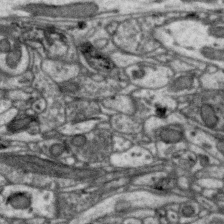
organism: Zebra finch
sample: Brain